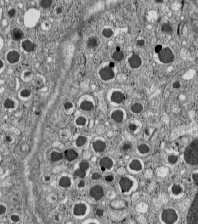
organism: C57BL Mouse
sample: Pancreatic islet